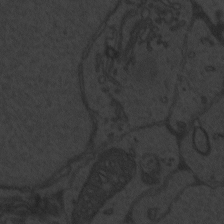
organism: Zebrafish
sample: Macrophage infected with Toxoplasma gondii